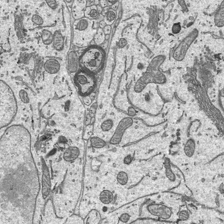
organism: Mouse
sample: Suprachiasmatic nucleus